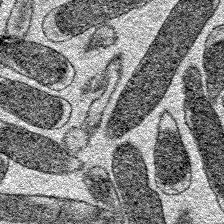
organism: E. coli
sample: E. Coli Bacteria